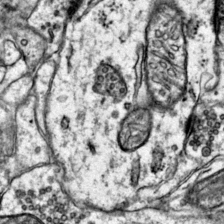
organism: Mouse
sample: Primary visual cortex